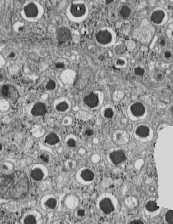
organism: C57BL Mouse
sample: Pancreatic islet